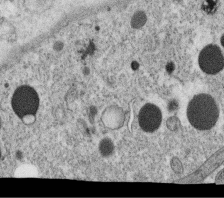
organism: C. elegans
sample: C. elegans oocyte; sperm cells